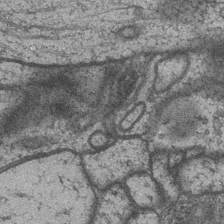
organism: Drosophila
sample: Optic medulla